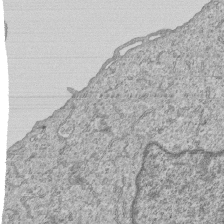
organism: Human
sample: MDA-MB-231 cells